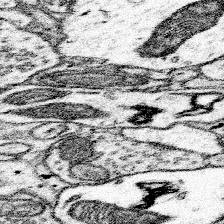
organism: Mouse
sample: Somatosensory cortex neuropil